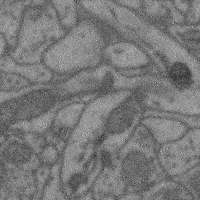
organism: Mouse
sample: Cerebral cortex